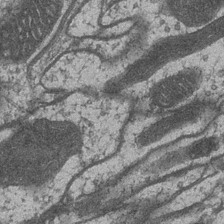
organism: Drosophila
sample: Optic medulla